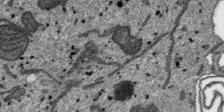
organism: Human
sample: Lung epithelial cells, uninfected (mock) control